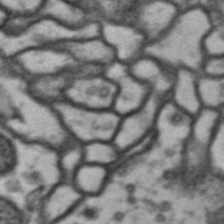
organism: Drosophila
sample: Brain